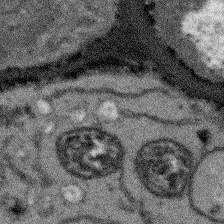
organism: Arabidopsis thaliana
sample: Root tip